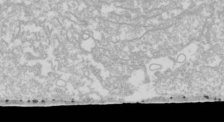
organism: Drosophila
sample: Cell division; meiosis; drosophila spermatocytes